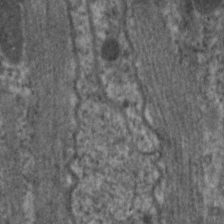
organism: C. elegans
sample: Pharynx